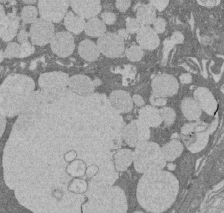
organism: Rat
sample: Salivary granule